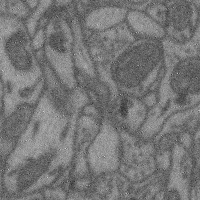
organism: Mouse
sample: Cerebral cortex